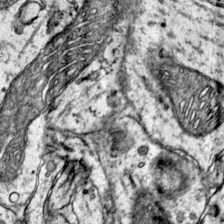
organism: Mouse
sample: Primary visual cortex